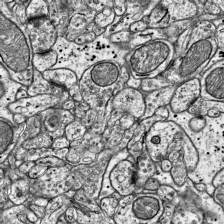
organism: Mouse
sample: Visual Cortex